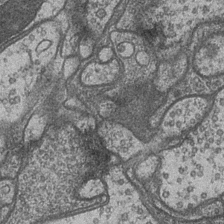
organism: Drosophila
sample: Optic medulla